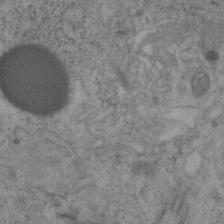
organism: Mouse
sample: OT-I killer T cells with ID8 ovarian cancer cells